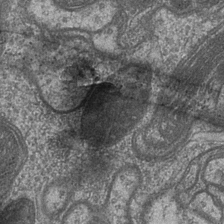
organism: Drosophila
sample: Optic medulla